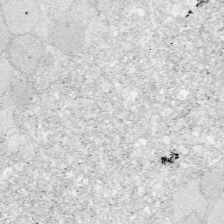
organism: Zebrafish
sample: Whole-Brain